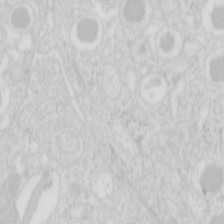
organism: Mouse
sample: Pancreas